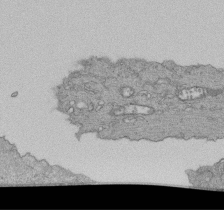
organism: Human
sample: Retinal organoid Rod and Cone cells